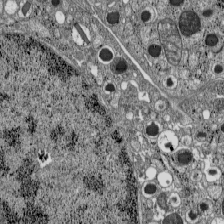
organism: C57BL Mouse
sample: Pancreatic islet